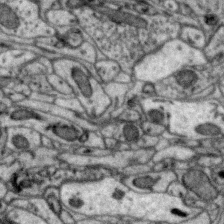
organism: Zebra finch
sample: Brain